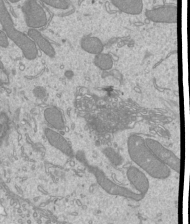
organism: Mouse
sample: Cilia; mouse epididymis